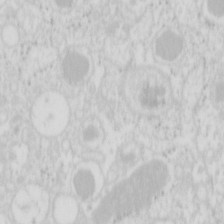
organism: Mouse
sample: Pancreas